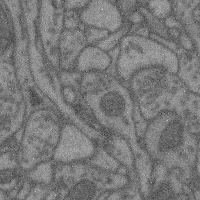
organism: Mouse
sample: Cerebral cortex